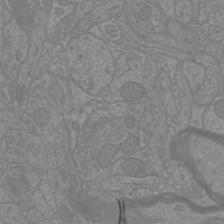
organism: Mouse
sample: Cortical neurons